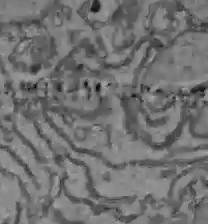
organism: C57BL Mouse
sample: Liver